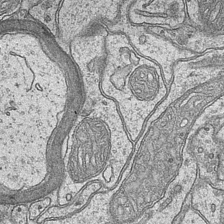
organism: Mouse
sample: CA1 Hippocampus